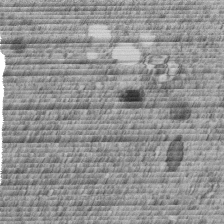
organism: C. elegans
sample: C. elegans embryo early stage